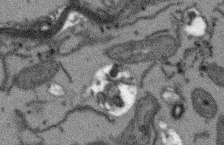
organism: Arabidopsis thaliana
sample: Root tip